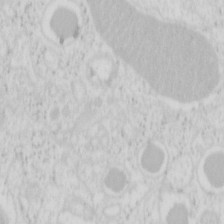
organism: Mouse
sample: Pancreas